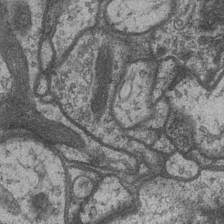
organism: Drosophila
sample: Optic medulla